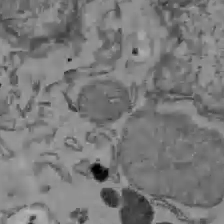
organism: C57BL Mouse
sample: Liver